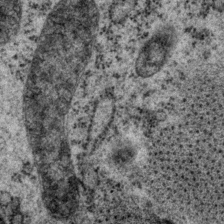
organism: P. pacificus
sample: Pharynx